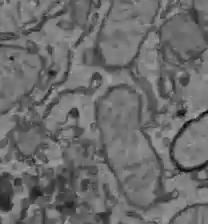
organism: C57BL Mouse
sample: Liver